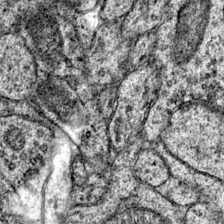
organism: Mouse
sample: Primary visual cortex